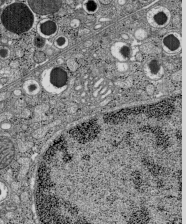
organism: C57BL Mouse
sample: Pancreatic islet